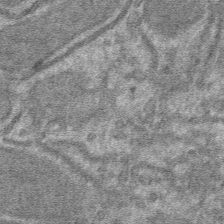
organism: Mouse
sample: Mouse hepatocytes